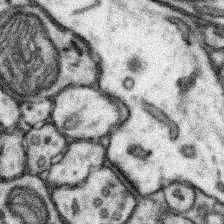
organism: Mouse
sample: Somatosensory cortex neuropil